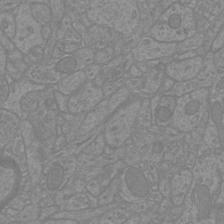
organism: Mouse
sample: Cortical neurons